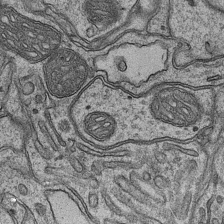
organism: Mouse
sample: CA1 Hippocampus